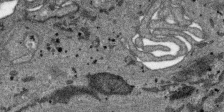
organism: Human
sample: Lung epithelial cells, uninfected (mock) control